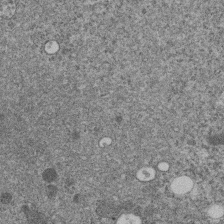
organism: C. elegans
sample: C. elegans embryo early stage